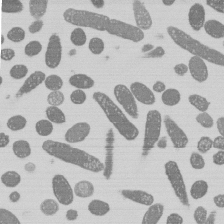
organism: E. coli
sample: Bacterial nucleoid